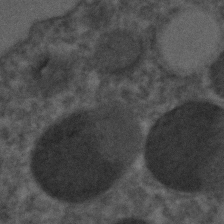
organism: C. elegans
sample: C. elegans embryo